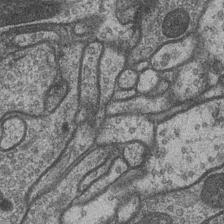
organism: Drosophila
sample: Optic medulla